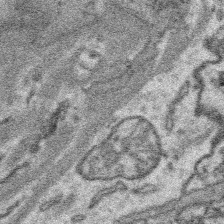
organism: Platynereis dumerilii